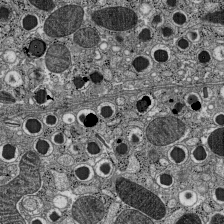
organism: C57BL Mouse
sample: Pancreatic islet